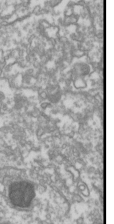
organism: Drosophila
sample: Cell division; meiosis; drosophila spermatocytes